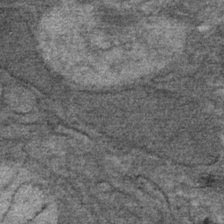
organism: Mouse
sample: Mouse Salivary gland